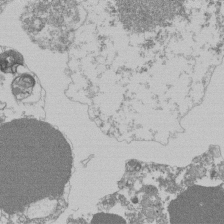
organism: Mouse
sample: Activated Pmel transgenic CD8+ T Cells